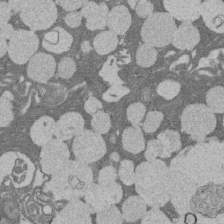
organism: Rat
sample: Salivary granule